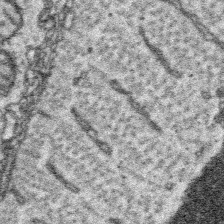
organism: Platynereis dumerilii